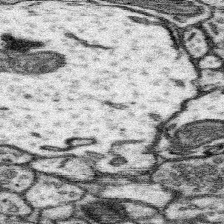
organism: Mouse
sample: Somatosensory cortex neuropil